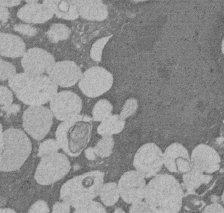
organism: Rat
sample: Salivary granule